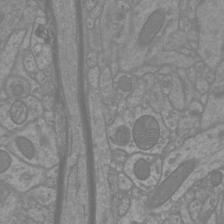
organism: Mouse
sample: Cortical neurons